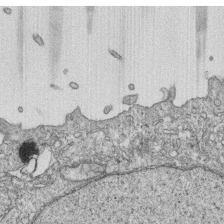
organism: Human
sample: HeLa cell HIV synapse